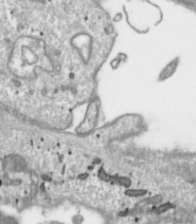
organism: Toxoplasma gondii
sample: Parasites in a vacuole inside a host cell